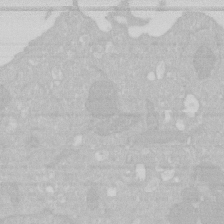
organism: Human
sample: HIV infected U937 cells